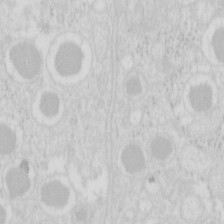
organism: Mouse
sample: Pancreas